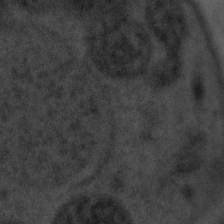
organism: Tuwongella immobilis